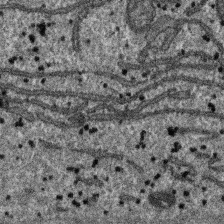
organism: Human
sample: Lung epithelial cells infected with SARS-CoV-2